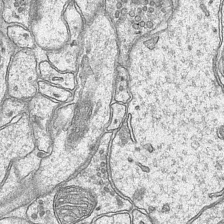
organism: Mouse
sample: CA1 Hippocampus